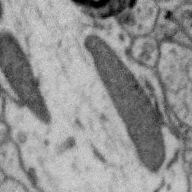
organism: Zebra finch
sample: Brain